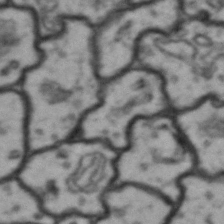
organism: Drosophila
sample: Brain